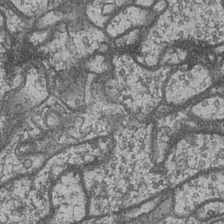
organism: Drosophila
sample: Optic medulla